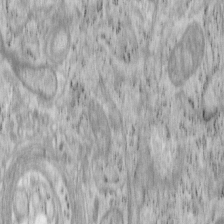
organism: Human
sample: HeLa cells